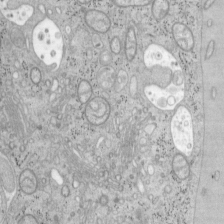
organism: Mouse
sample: OT-I killer T cells with ID8 ovarian cancer cells